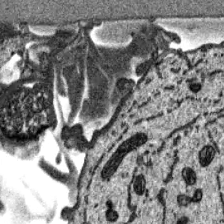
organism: Human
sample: HeLa cells